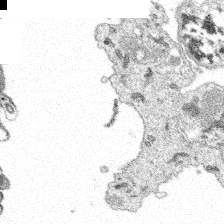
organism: Spongilla lacustris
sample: Multiple